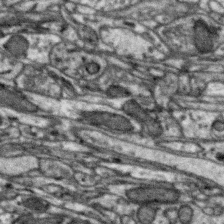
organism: Zebra finch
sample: Brain